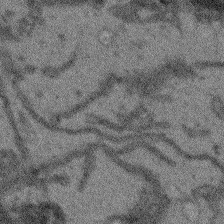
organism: Arabidopsis thaliana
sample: Root tip